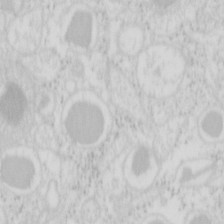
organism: Mouse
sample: Pancreas